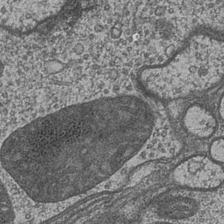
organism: Drosophila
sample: Optic medulla